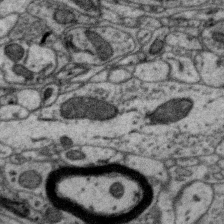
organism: Zebra finch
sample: Brain